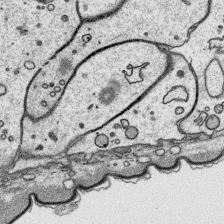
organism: Platynereis dumerilii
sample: Parapodia